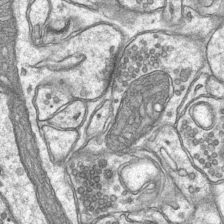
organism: Mouse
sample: CA1 Hippocampus